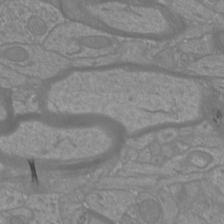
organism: Mouse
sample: Cortical neurons